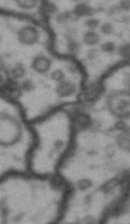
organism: Drosophila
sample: Brain